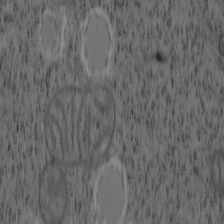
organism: Human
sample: HeLa cells